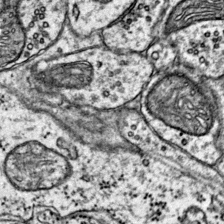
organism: Mouse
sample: Primary visual cortex